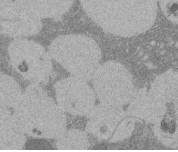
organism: Rat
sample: Salivary granule